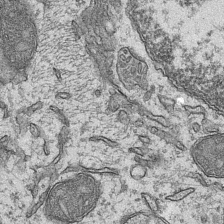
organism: Mouse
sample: CA1 Hippocampus